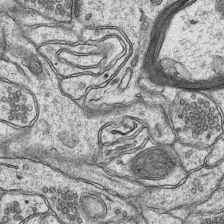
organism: Mouse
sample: CA1 Hippocampus